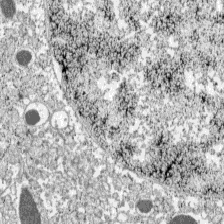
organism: C57BL Mouse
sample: Pancreatic islet